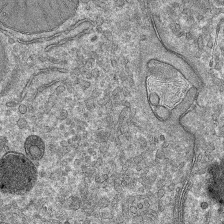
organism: Mouse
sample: Mouse hepatocytes